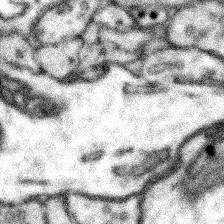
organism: Mouse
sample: Somatosensory cortex neuropil